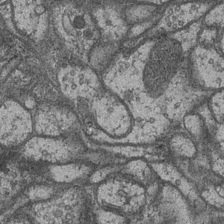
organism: Drosophila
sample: Optic medulla